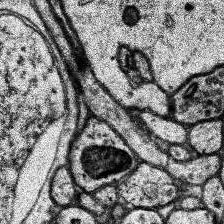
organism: Human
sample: Temporal Lobe